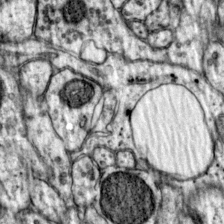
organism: Mouse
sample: Primary visual cortex